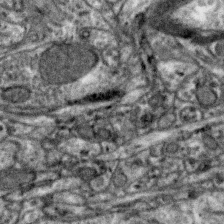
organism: Zebra finch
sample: Brain